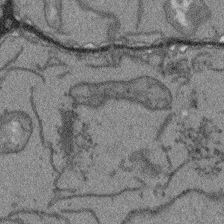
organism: Arabidopsis thaliana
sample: Root tip